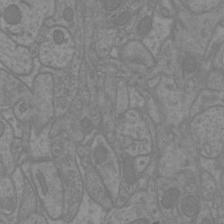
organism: Mouse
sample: Cortical neurons